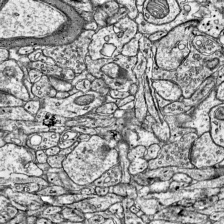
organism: Mouse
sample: Visual Cortex